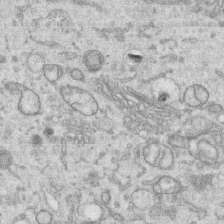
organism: Human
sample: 1205lu cells